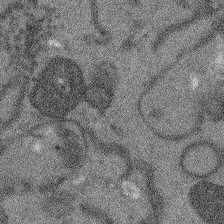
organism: Arabidopsis thaliana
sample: Root tip